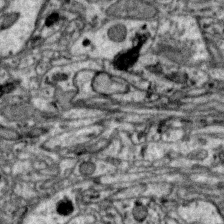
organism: Zebra finch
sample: Brain